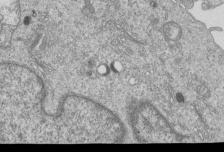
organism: Human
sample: MDA-MB-231 cells